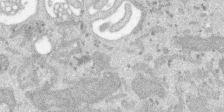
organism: Human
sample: Lung epithelial cells infected with SARS-CoV-2